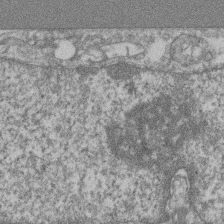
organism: Mouse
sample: T cell stromal cell synapse